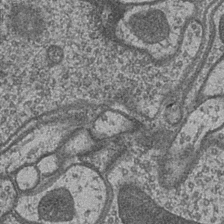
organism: Drosophila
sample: Optic medulla